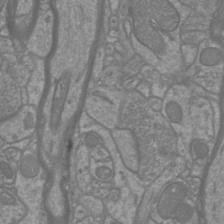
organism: Mouse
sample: Cortical neurons